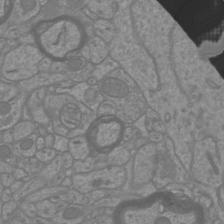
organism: Mouse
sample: Cortical neurons